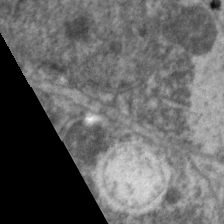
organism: C. elegans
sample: Pharynx